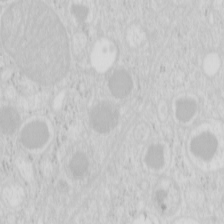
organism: Mouse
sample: Pancreas